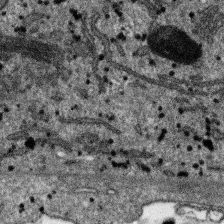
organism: Human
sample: Lung epithelial cells infected with SARS-CoV-2